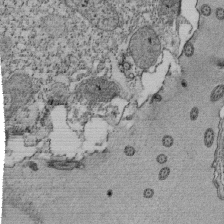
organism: Tetrahymena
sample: Cilia in tetrahymena